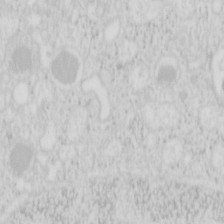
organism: Mouse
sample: Pancreas